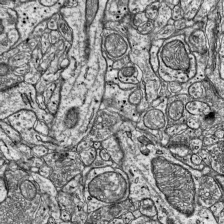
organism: Mouse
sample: Visual Cortex